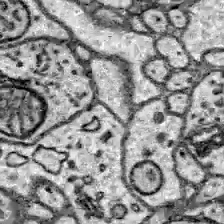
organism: Zebrafish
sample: Brain